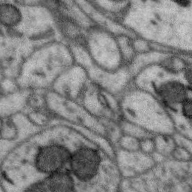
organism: Zebra finch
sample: Brain